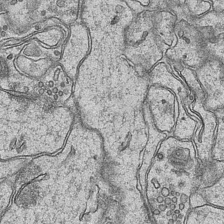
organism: Mouse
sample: CA1 Hippocampus